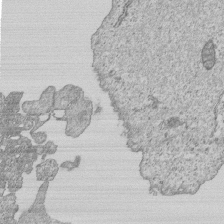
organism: Human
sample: MDA-MB-231 cells